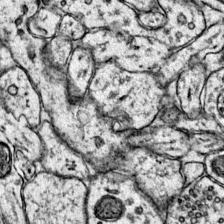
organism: Mouse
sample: Primary visual cortex